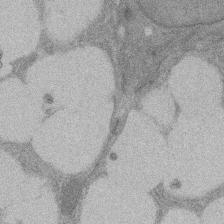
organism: Rat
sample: Salivary granule